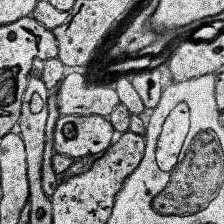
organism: Human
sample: Temporal Lobe